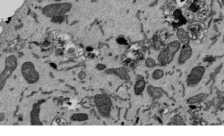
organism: Mouse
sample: ED-1 cell nuclei; centrioles